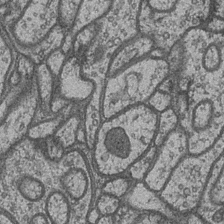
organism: Drosophila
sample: Optic medulla